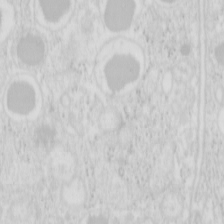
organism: Mouse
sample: Pancreas